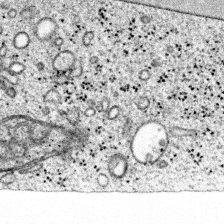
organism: Human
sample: HeLa cells